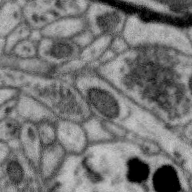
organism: Zebra finch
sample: Brain